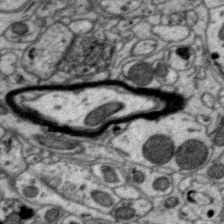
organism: Zebra finch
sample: Brain